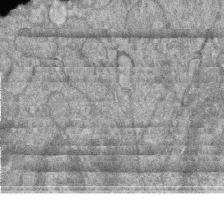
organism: Zebrafish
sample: Cilia; retinal pigment epithelium